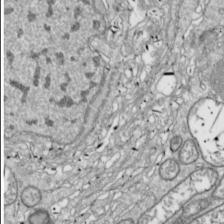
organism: Drosophila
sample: Cell division; meiosis; drosophila spermatocytes